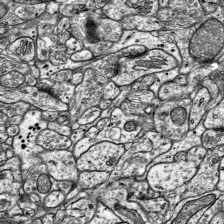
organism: Mouse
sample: Visual Cortex